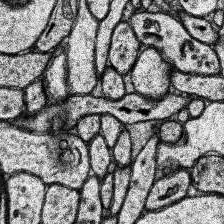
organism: Human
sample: Temporal Lobe